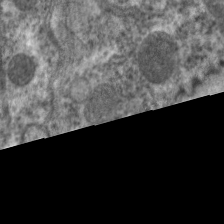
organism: C. elegans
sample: Pharynx